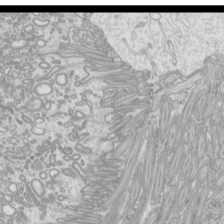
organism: Mouse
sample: Cilia; mouse epididymis